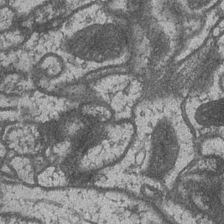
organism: Drosophila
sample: Optic medulla